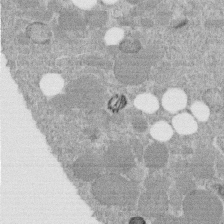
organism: C. elegans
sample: C. elegans embryo early stage